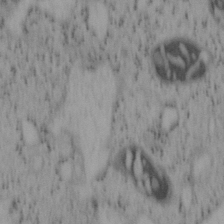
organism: Mouse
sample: OT-I killer T cells with ID8 ovarian cancer cells